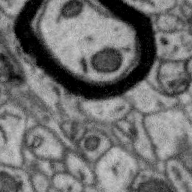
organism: Zebra finch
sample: Brain